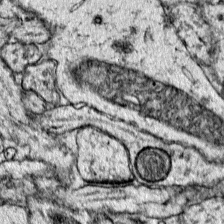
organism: Mouse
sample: Primary visual cortex